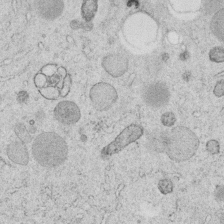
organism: C. elegans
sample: C. elegans embryo early stage